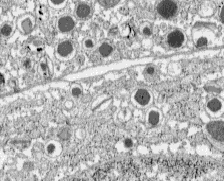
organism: C57BL Mouse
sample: Pancreatic islet